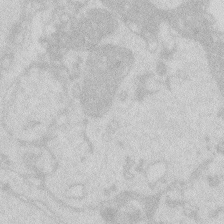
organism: Zebrafish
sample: Macrophage